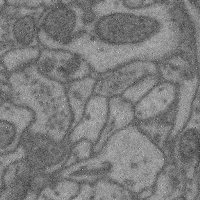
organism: Mouse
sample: Cerebral cortex